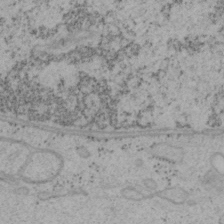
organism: Human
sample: HeLa cells